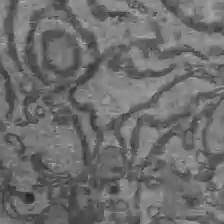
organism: C57BL Mouse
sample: Liver